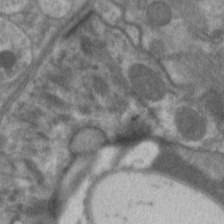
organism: C. elegans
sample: Pharynx